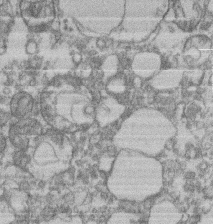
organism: Mouse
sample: T cell stromal cell synapse